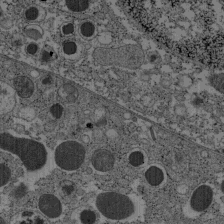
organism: C57BL Mouse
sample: Pancreatic islet